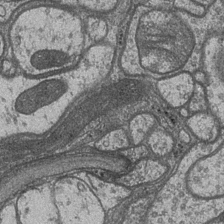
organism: Drosophila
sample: Optic medulla